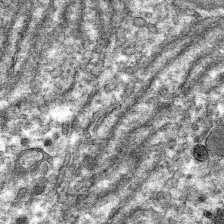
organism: Mouse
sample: Mouse hepatocytes